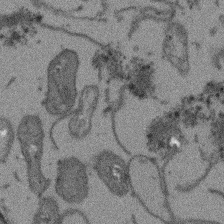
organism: Arabidopsis thaliana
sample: Root tip